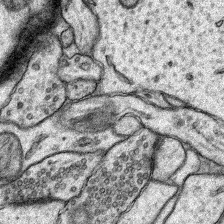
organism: Rat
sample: Hippocampus